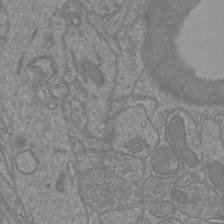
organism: Mouse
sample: Cortical neurons